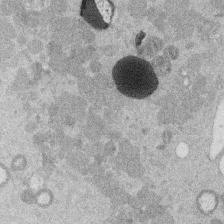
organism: Mouse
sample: Dividing mouse embryo 1 cell stage